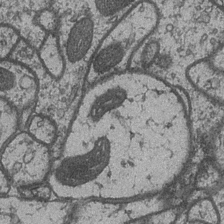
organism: Drosophila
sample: Optic medulla